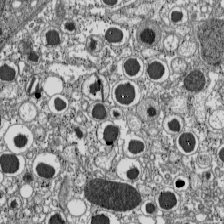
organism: C57BL Mouse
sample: Pancreatic islet